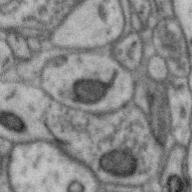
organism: Zebra finch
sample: Brain